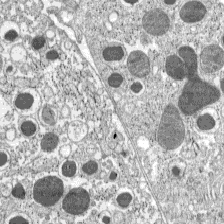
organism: C57BL Mouse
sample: Pancreatic islet